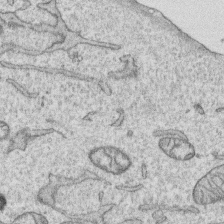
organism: Human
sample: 1205lu cells